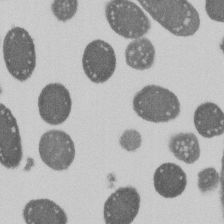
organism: E. coli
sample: Bacterial nucleoid